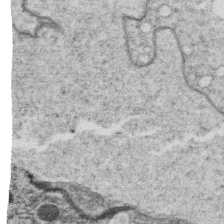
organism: C. elegans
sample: C. elegans oocyte; sperm cells